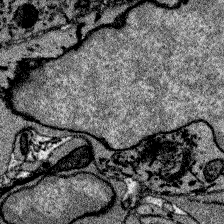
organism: Zebrafish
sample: Larval olfactory bulb